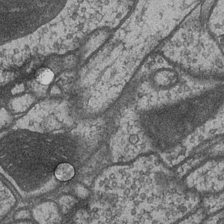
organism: Drosophila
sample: Optic medulla